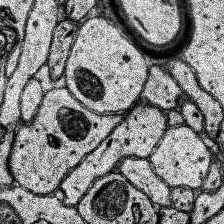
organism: Human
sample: Temporal Lobe